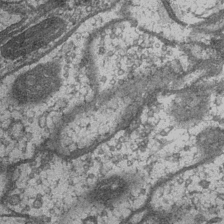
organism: Drosophila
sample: Optic medulla